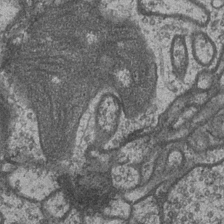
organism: Drosophila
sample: Optic medulla